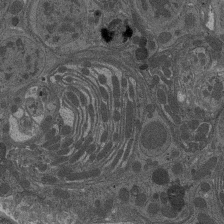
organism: Drosophila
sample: Antenna